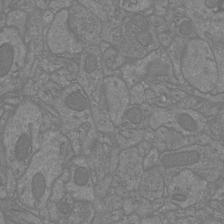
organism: Mouse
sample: Cortical neurons